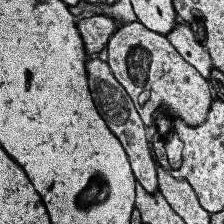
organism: Human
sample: Temporal Lobe